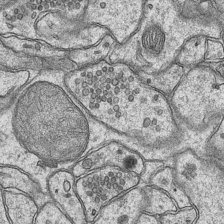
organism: Mouse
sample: CA1 Hippocampus